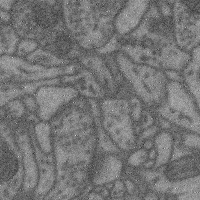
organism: Mouse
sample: Cerebral cortex